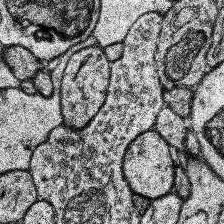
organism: Human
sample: Temporal Lobe